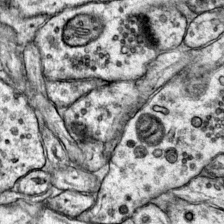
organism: Mouse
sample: Primary visual cortex